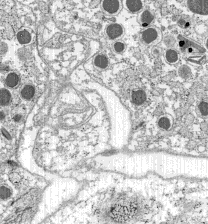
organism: C57BL Mouse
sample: Pancreatic islet